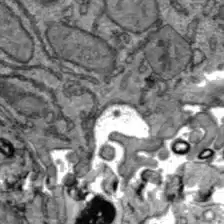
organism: C57BL Mouse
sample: Liver